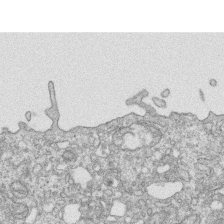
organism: Human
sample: HeLa cell HIV synapse